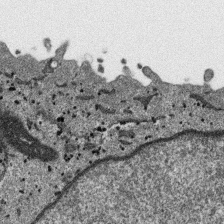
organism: Human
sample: Lung epithelial cells infected with SARS-CoV-2